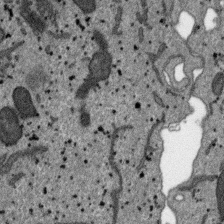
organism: Human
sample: Lung epithelial cells, uninfected (mock) control